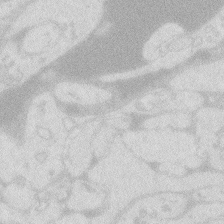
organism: Zebrafish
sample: Macrophage